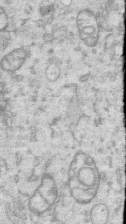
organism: Human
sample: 1205lu cells